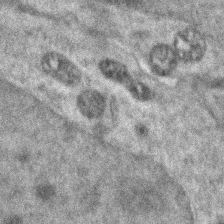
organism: Zebrafish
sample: Zebrafish embryo